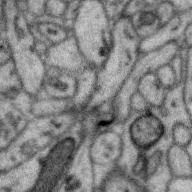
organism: Zebra finch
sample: Brain